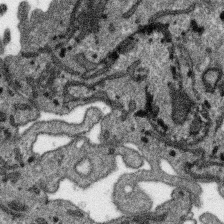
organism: Human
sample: Lung epithelial cells infected with SARS-CoV-2